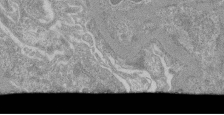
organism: Mouse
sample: Glomerulus